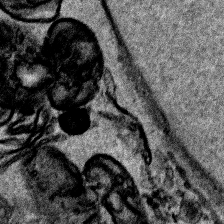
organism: Human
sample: Mitochondria in HCT116 cells